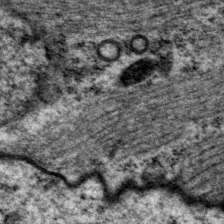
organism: P. pacificus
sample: Pharynx